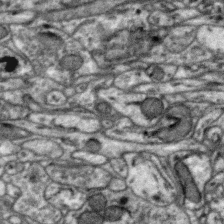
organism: Zebra finch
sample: Brain